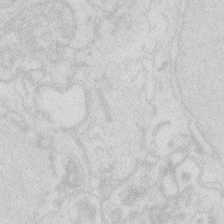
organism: Zebrafish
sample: Macrophage